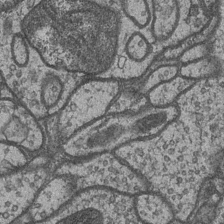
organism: Drosophila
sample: Optic medulla